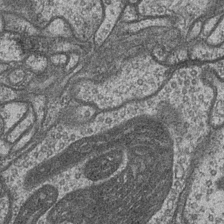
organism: Drosophila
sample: Optic medulla